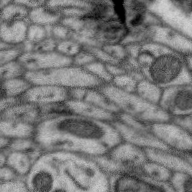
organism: Zebra finch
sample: Brain